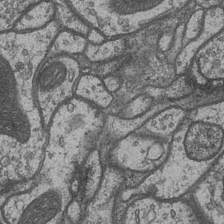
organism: Drosophila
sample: Optic medulla